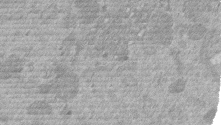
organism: Mouse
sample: Dividing mouse embryo 1 cell stage